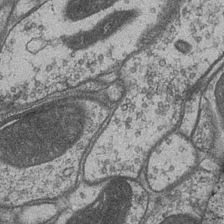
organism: Drosophila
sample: Optic medulla